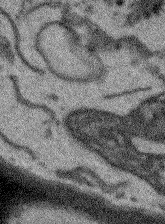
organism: Arabidopsis thaliana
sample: Root tip